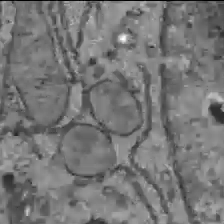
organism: C57BL Mouse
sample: Liver